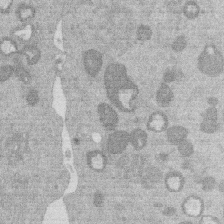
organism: Mouse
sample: Dividing mouse embryo 1 cell stage